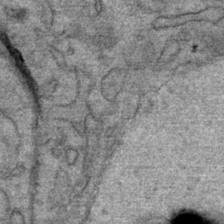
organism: Mouse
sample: Mouse Salivary gland